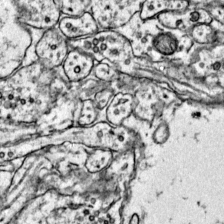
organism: Mouse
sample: Primary visual cortex